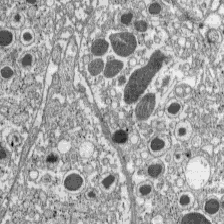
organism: C57BL Mouse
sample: Pancreatic islet